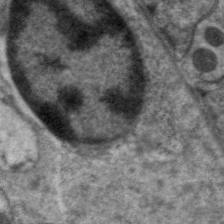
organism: C. elegans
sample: Pharynx